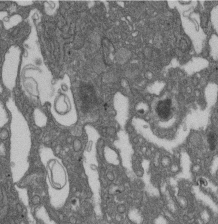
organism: Drosophila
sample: Nephrocyte